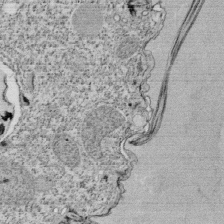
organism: Tetrahymena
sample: Cilia in tetrahymena